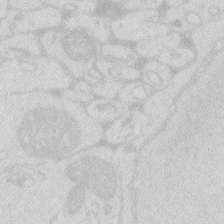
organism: Zebrafish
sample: Macrophage